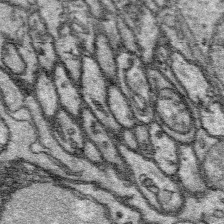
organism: Platynereis dumerilii